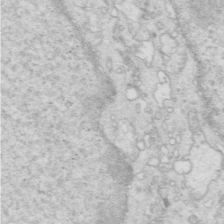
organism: Mouse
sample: Multiciliated cells